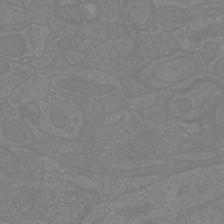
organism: Mouse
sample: Cortical neurons